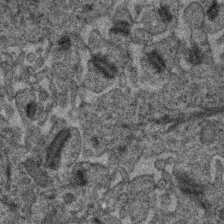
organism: Human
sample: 1205lu cells